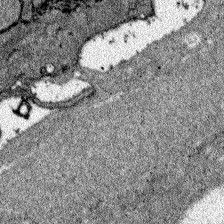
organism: Zebrafish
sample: Larval olfactory bulb